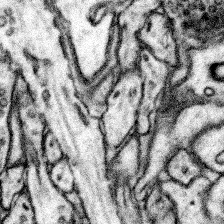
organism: Mouse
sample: Somatosensory cortex neuropil